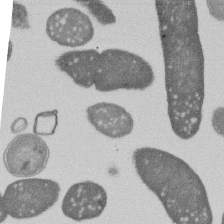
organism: E. coli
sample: Bacterial nucleoid